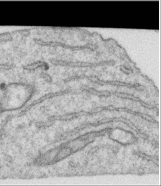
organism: Human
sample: Centriole in RPE cells